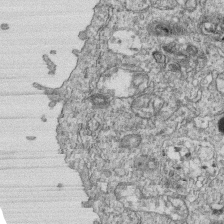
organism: Human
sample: HeLa cell HIV synapse